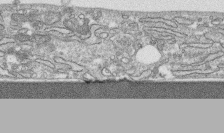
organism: Human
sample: CRL-1474